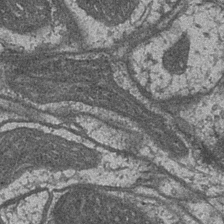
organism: Drosophila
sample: Optic medulla